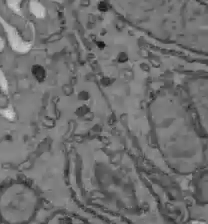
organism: C57BL Mouse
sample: Liver